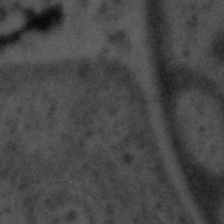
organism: Tuwongella immobilis